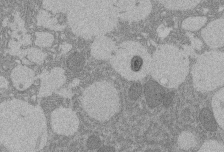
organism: Rat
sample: Salivary granule